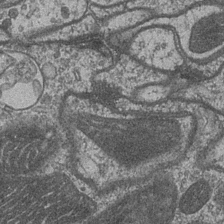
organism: Drosophila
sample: Optic medulla